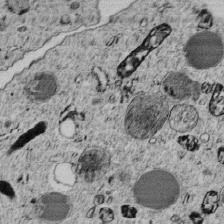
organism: C. elegans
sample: C. elegans embryo early stage